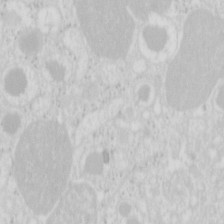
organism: Mouse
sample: Pancreas